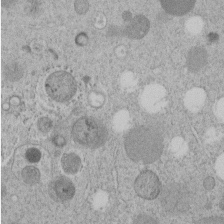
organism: C. elegans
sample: C. elegans embryo early stage